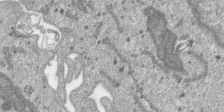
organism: Human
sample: Lung epithelial cells infected with SARS-CoV-2